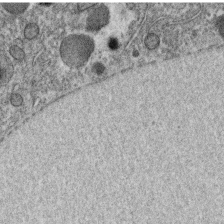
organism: C. elegans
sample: C. elegans oocyte; sperm cells